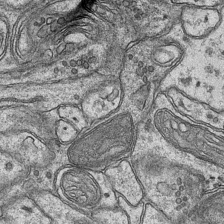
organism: Mouse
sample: CA1 Hippocampus